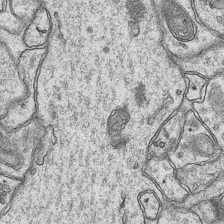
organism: Mouse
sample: CA1 Hippocampus